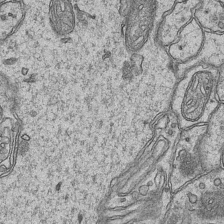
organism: Mouse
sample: CA1 Hippocampus